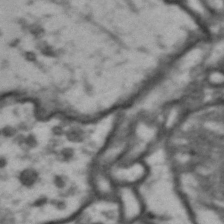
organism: Drosophila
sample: Brain